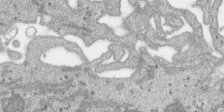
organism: Human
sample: Lung epithelial cells infected with SARS-CoV-2